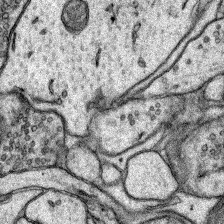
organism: Rat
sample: Hippocampus